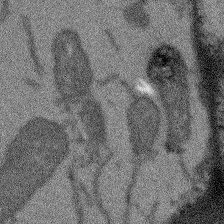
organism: Arabidopsis thaliana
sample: Root tip